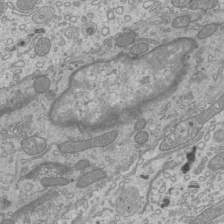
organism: Mouse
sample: Cilia; mouse epididymis